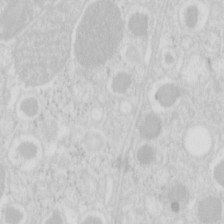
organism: Mouse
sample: Pancreas